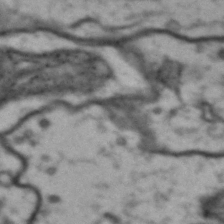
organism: Drosophila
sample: Brain